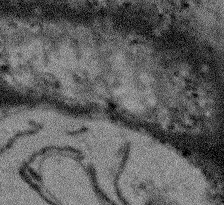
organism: Arabidopsis thaliana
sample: Root tip